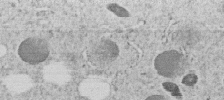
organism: C. elegans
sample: C. elegans embryo early stage